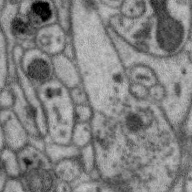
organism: Zebra finch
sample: Brain